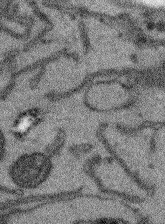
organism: Arabidopsis thaliana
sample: Root tip